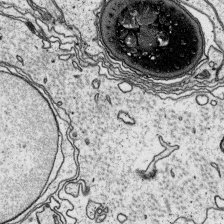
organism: Platynereis dumerilii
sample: Parapodia